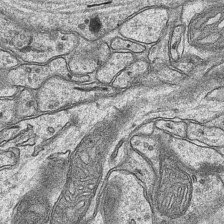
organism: Mouse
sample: CA1 Hippocampus